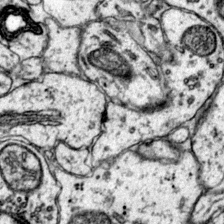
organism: Mouse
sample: Primary visual cortex